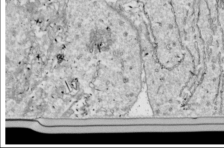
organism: Drosophila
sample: Cell division; meiosis; drosophila spermatocytes